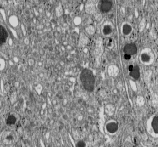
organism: C57BL Mouse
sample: Pancreatic islet